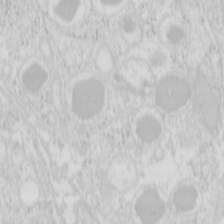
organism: Mouse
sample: Pancreas